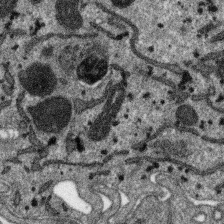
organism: Human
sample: Lung epithelial cells infected with SARS-CoV-2